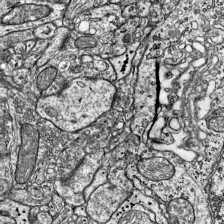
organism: Mouse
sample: Visual Cortex